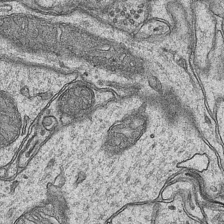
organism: Mouse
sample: CA1 Hippocampus